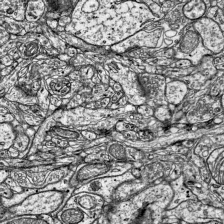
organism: Mouse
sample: Visual Cortex